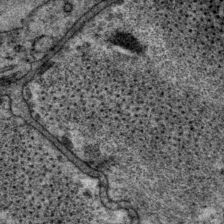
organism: P. pacificus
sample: Pharynx